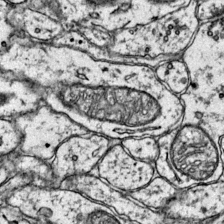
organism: Mouse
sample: Primary visual cortex